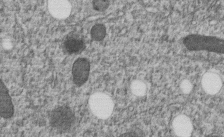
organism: C. elegans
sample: C. elegans embryo early stage